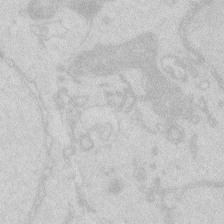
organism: Zebrafish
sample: Macrophage